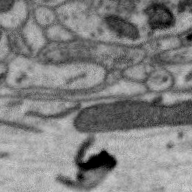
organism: Zebra finch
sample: Brain